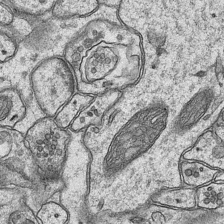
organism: Mouse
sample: CA1 Hippocampus